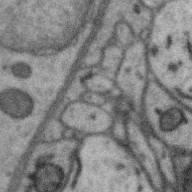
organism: Zebra finch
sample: Brain